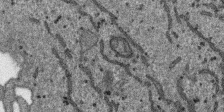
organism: Human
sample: Lung epithelial cells infected with SARS-CoV-2